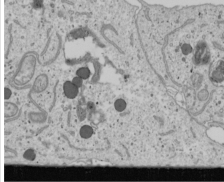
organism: Human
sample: Mitochondria in U2OS cells